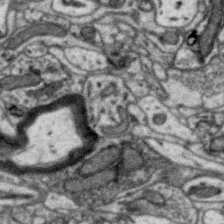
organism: Zebra finch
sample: Brain